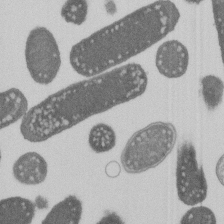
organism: E. coli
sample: Bacterial nucleoid